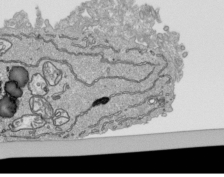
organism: Human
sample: Mitochondria in HCT116 cells